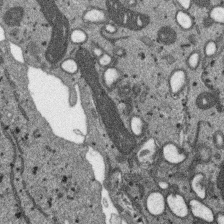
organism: Human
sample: Lung epithelial cells infected with SARS-CoV-2